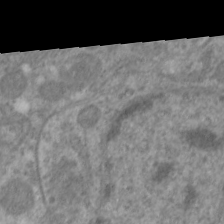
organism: C. elegans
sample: Pharynx